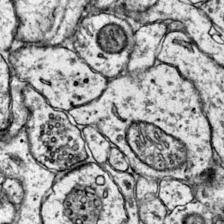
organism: Mouse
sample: Primary visual cortex